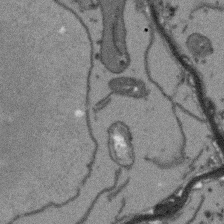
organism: Arabidopsis thaliana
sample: Root tip